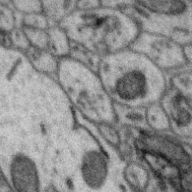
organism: Zebra finch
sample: Brain